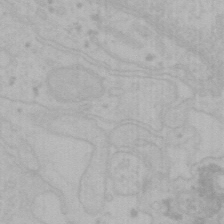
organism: Mouse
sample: Choroid plexus